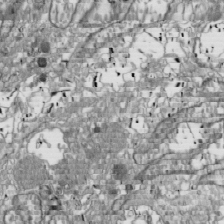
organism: Drosophila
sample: Cell division; meiosis; drosophila spermatocytes